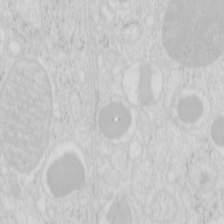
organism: Mouse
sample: Pancreas